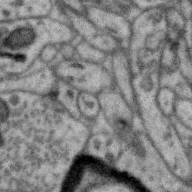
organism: Zebra finch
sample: Brain